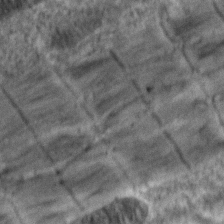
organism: Zebrafish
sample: Zebrafish embryo